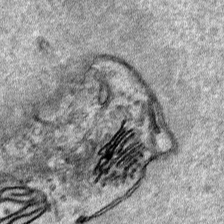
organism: Human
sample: Mitochondria in HCT116 cells